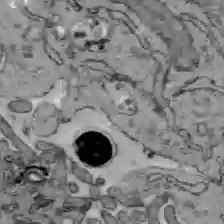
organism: C57BL Mouse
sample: Liver